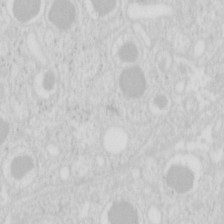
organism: Mouse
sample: Pancreas